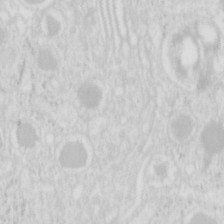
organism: Mouse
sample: Pancreas